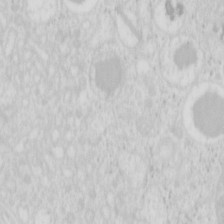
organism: Mouse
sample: Pancreas